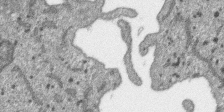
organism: Human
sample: Lung epithelial cells infected with SARS-CoV-2